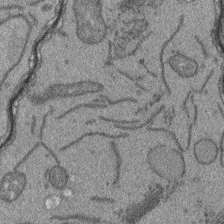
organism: Arabidopsis thaliana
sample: Root tip